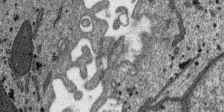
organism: Human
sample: Lung epithelial cells infected with SARS-CoV-2